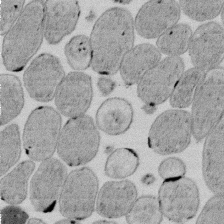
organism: E. coli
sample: Bacterial nucleoid